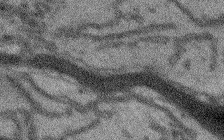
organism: Arabidopsis thaliana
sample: Root tip